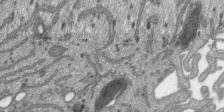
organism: Human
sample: Lung epithelial cells infected with SARS-CoV-2